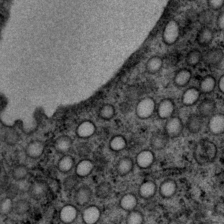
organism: P. pacificus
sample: Pharynx